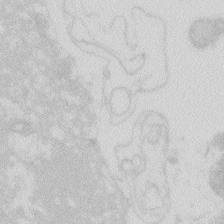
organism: Zebrafish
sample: Macrophage